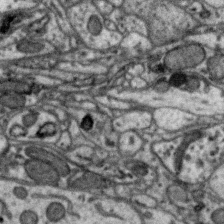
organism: Zebra finch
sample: Brain